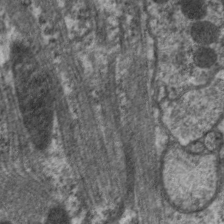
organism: C. elegans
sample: Pharynx